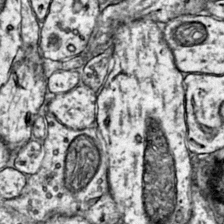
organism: Mouse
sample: Primary visual cortex